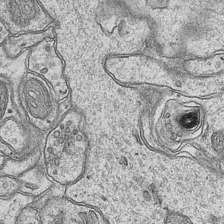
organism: Mouse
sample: CA1 Hippocampus